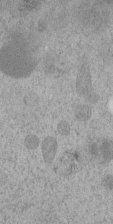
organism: C. elegans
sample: C. elegans embryo early stage